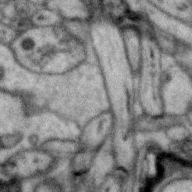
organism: Zebra finch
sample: Brain